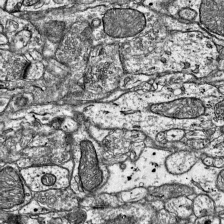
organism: Mouse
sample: Visual Cortex